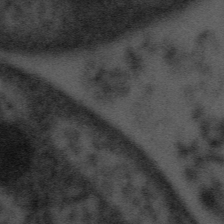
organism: Tuwongella immobilis